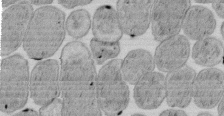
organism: E. coli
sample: Bacterial nucleoid